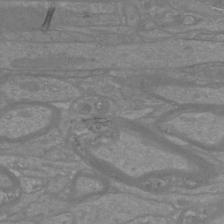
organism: Mouse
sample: Cortical neurons